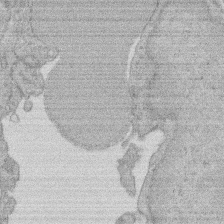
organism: Rat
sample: Salivary granule